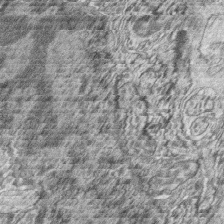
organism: Zebrafish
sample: synaptic ribbons in rod cells and cone cells